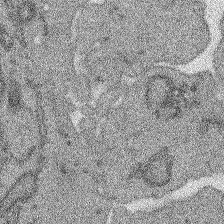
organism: Human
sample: HeLa cells